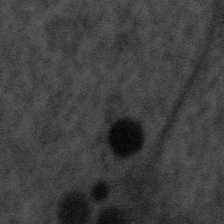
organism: Tuwongella immobilis